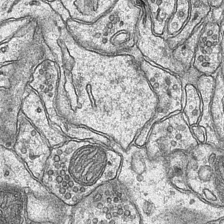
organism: Mouse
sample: CA1 Hippocampus